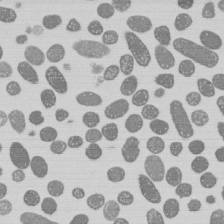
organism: E. coli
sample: Bacterial nucleoid